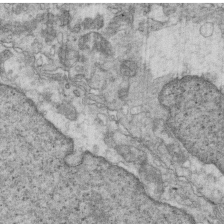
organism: Mouse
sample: Multiciliated cells